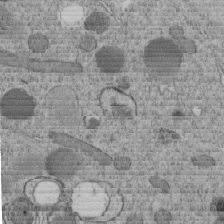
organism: C. elegans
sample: C. elegans embryo early stage